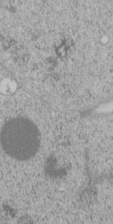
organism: C. elegans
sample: C. elegans embryo early stage